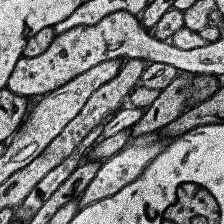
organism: Human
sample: Temporal Lobe